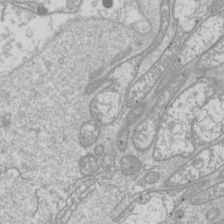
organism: Drosophila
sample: Cell division; meiosis; drosophila spermatocytes